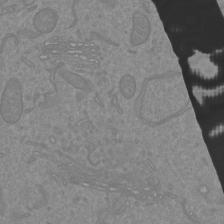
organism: Mouse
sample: Cortical neurons